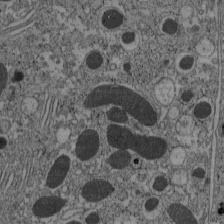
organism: C57BL Mouse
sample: Pancreatic islet